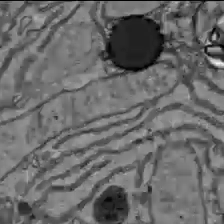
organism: C57BL Mouse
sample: Liver